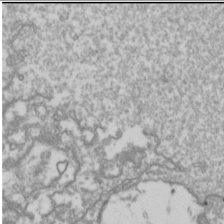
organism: Drosophila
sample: Cell division; meiosis; drosophila spermatocytes